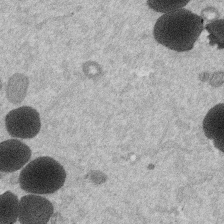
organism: Mouse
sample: Dividing mouse embryo 1 cell stage